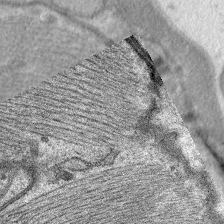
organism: C. elegans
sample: Pharynx